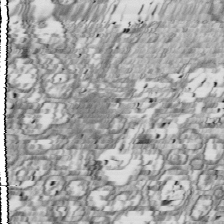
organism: Drosophila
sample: Cell division; meiosis; drosophila spermatocytes